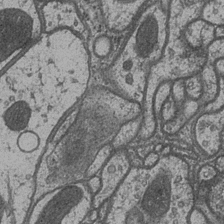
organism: Drosophila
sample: Optic medulla